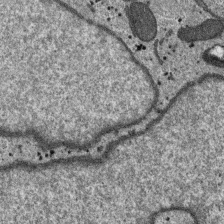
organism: Human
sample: Lung epithelial cells, uninfected (mock) control